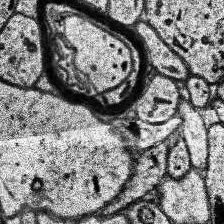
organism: Human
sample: Temporal Lobe